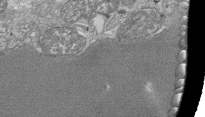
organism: Tetrahymena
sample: Cilia in tetrahymena